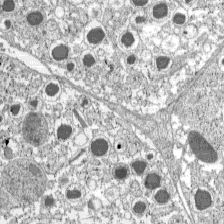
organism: C57BL Mouse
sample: Pancreatic islet